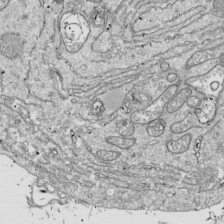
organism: Drosophila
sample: Cell division; meiosis; drosophila spermatocytes